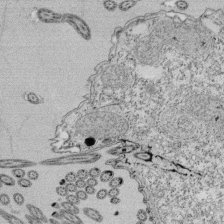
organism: Tetrahymena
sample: Cilia in tetrahymena